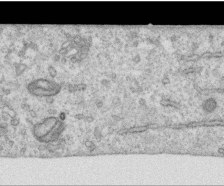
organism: Human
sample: Centriole in RPE cells